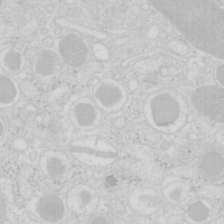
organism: Mouse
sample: Pancreas